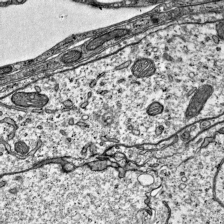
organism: Mouse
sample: Visual Cortex